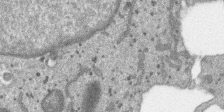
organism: Human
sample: Lung epithelial cells infected with SARS-CoV-2